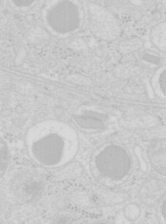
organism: Mouse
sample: Pancreas